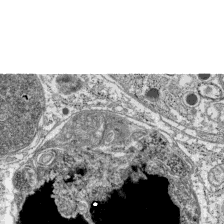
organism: C57BL Mouse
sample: Pancreatic islet